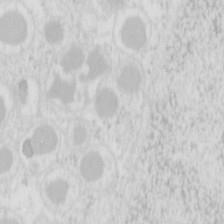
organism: Mouse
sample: Pancreas